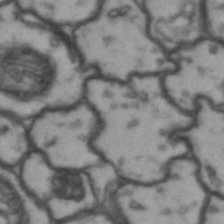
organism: Drosophila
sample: Brain